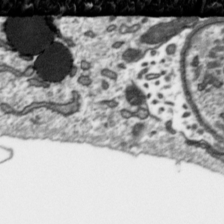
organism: Toxoplasma gondii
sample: Parasites in a vacuole inside a host cell